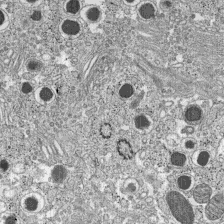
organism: C57BL Mouse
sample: Pancreatic islet